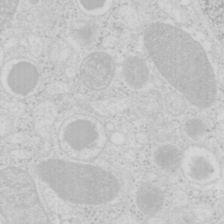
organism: Mouse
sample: Pancreas